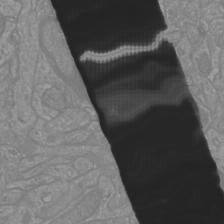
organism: Mouse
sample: Cortical neurons